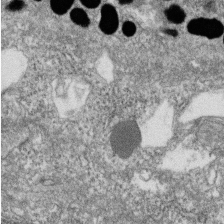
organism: Zebrafish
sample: Cilia; retinal pigment epithelium